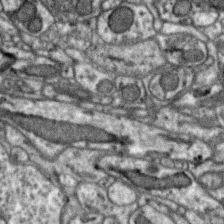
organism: Zebra finch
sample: Brain